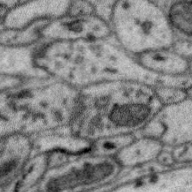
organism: Zebra finch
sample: Brain